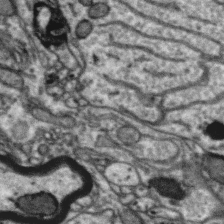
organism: Zebra finch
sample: Brain